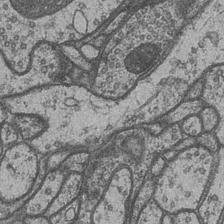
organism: Drosophila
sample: Optic medulla